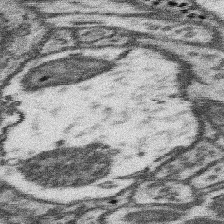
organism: Mouse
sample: Somatosensory cortex neuropil